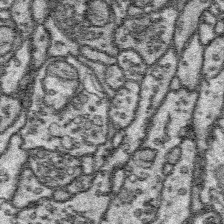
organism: Platynereis dumerilii